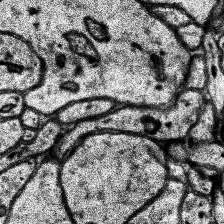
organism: Human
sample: Temporal Lobe